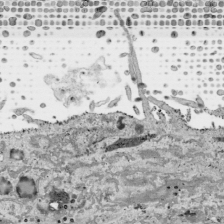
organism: Human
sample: Mitochondria in HCT116 cells